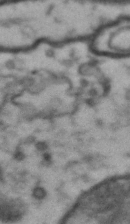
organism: Drosophila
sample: Brain